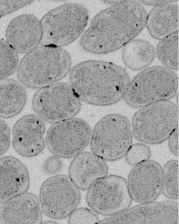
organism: E. coli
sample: Bacterial nucleoid